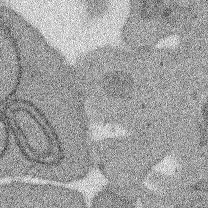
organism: Human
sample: HeLa cells